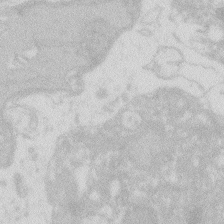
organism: Zebrafish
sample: Macrophage